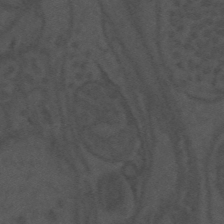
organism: Mouse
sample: Suprachiasmatic nucleus